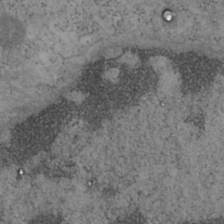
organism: Mouse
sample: OT-I killer T cells with ID8 ovarian cancer cells